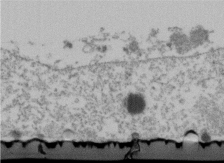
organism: Human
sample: U2-OS cells